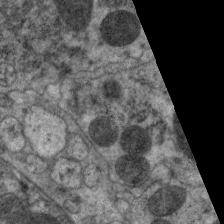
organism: C. elegans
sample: Pharynx